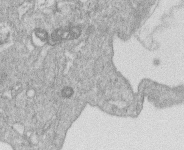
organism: Human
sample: Macrophage cells